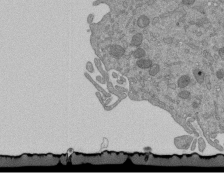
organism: Mouse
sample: ED-1 cell nuclei; centrioles